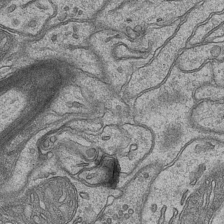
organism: Mouse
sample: CA1 Hippocampus